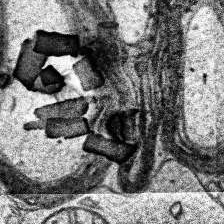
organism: Human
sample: Temporal Lobe